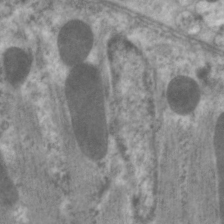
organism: C. elegans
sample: Pharynx